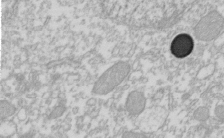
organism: Xenopus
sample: Cilia; centrioles in frog embryo cells